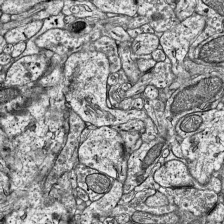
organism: Mouse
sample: Visual Cortex